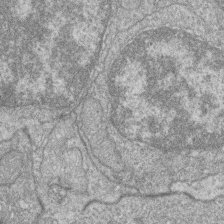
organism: Zebrafish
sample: Cilia; retinal pigment epithelium